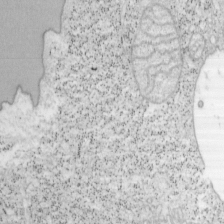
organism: Mouse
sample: OT-I killer T cells with ID8 ovarian cancer cells